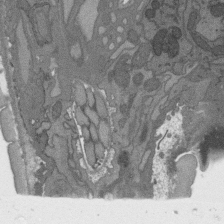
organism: C. elegans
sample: AFD neurons C. elegans